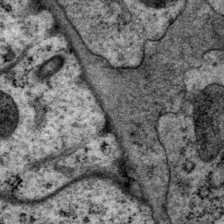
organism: P. pacificus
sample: Pharynx